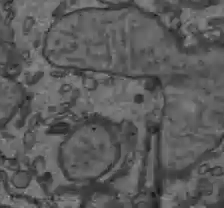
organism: C57BL Mouse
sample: Liver